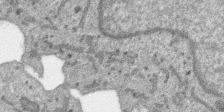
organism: Human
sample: Lung epithelial cells infected with SARS-CoV-2